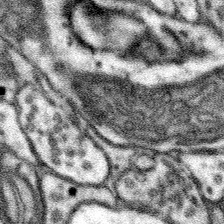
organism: Mouse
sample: Somatosensory cortex neuropil